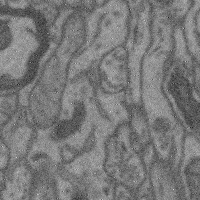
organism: Mouse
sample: Cerebral cortex